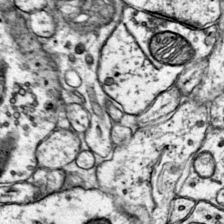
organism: Mouse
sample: Primary visual cortex